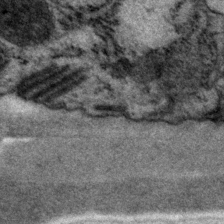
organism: P. pacificus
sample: Pharynx